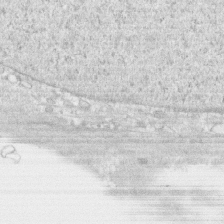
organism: Human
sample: CRL-1474